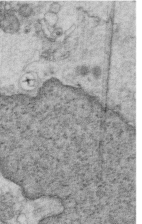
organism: Mouse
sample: Multiciliated cells